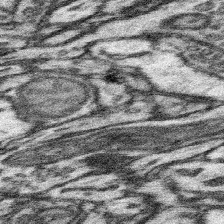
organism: Mouse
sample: Somatosensory cortex neuropil